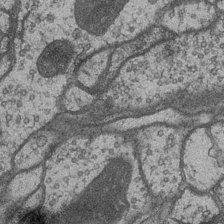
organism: Drosophila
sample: Optic medulla